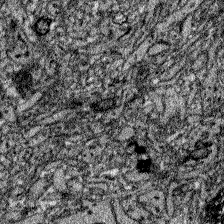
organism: Zebrafish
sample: Larval olfactory bulb